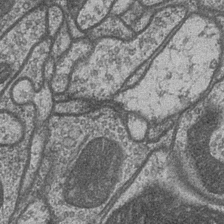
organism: Drosophila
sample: Optic medulla